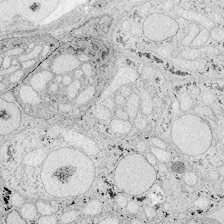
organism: Zebrafish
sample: Whole-Brain